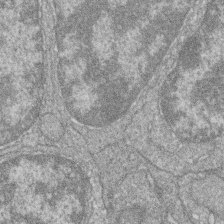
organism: Zebrafish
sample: Cilia; retinal pigment epithelium